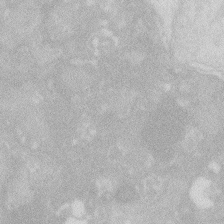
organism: Zebrafish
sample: Macrophage